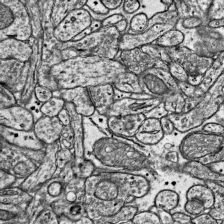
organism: Mouse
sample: Visual Cortex